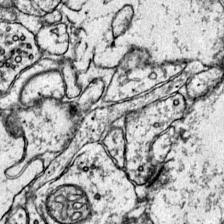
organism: Mouse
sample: Primary visual cortex